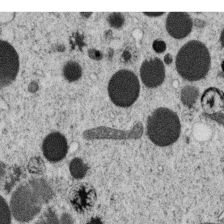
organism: C. elegans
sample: C. elegans oocyte; sperm cells